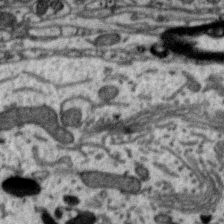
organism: Zebra finch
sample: Brain